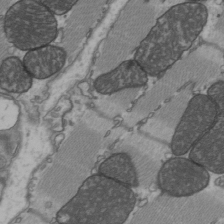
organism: C57BL Mouse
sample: Heart